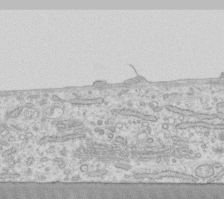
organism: Human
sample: Fibroblast cells